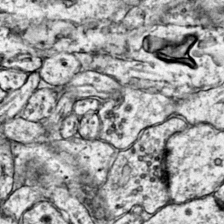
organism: Mouse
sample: Primary visual cortex